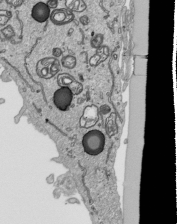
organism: Human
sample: Mitochondria in HCT116 cells